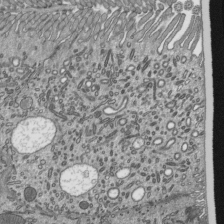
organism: Mouse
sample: Mouse epididymis efferent ductule cilia